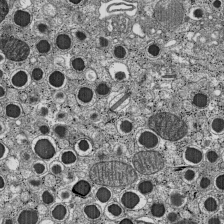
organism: C57BL Mouse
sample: Pancreatic islet